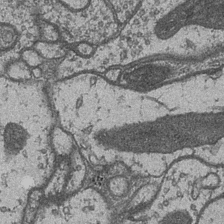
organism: Drosophila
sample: Optic medulla